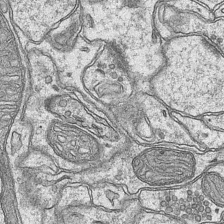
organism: Mouse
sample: CA1 Hippocampus